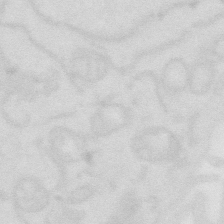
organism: Human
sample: HeLa cells